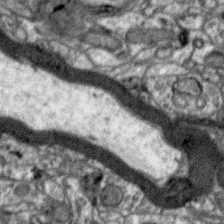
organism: Zebra finch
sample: Brain